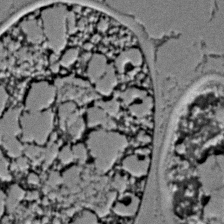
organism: C. elegans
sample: C. elegans embryo